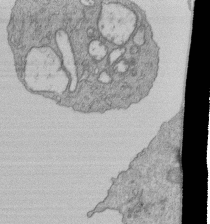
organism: Human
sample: Retinal organoid Rod and Cone cells